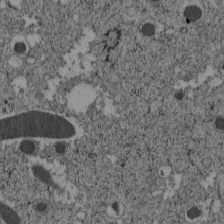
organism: C57BL Mouse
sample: Pancreatic islet